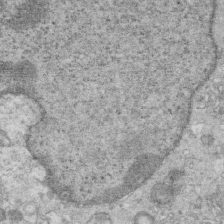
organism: Mouse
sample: Multiciliated cells